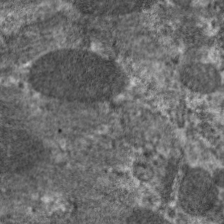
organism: C. elegans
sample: Pharynx